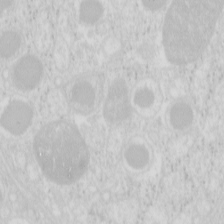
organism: Mouse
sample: Pancreas